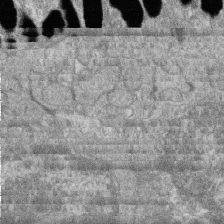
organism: Zebrafish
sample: Cilia; retinal pigment epithelium